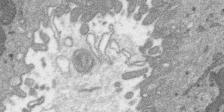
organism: Human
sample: Lung epithelial cells infected with SARS-CoV-2